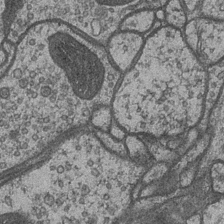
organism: Drosophila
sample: Optic medulla